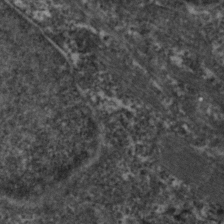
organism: Zebrafish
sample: Zebrafish embryo